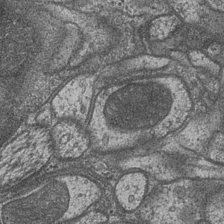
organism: Drosophila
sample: Optic medulla